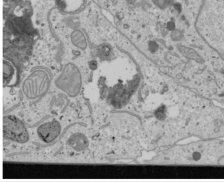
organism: Human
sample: Mitochondria in U2OS cells